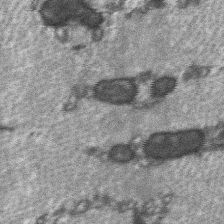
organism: C57BL Mouse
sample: Soleus